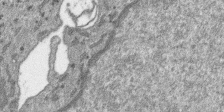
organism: Human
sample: Lung epithelial cells infected with SARS-CoV-2